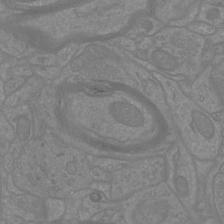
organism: Mouse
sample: Cortical neurons